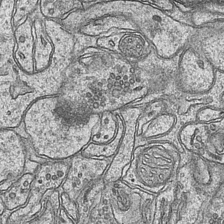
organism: Mouse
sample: CA1 Hippocampus